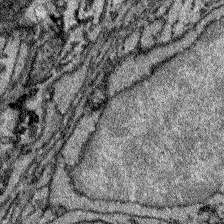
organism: Zebrafish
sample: Larval olfactory bulb